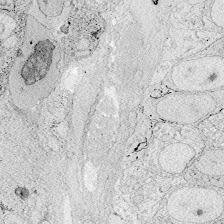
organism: Zebrafish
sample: Whole-Brain